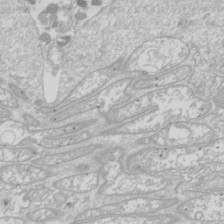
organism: Drosophila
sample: Cell division; meiosis; drosophila spermatocytes